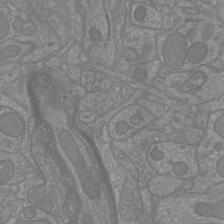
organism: Mouse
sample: Cortical neurons